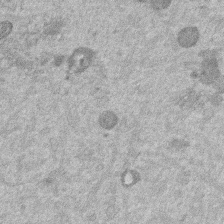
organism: Mouse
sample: Dividing mouse embryo 1 cell stage